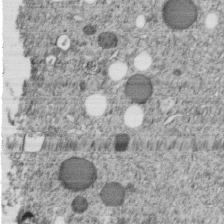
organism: C. elegans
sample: C. elegans embryo early stage